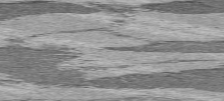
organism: C57BL Mouse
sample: Heart